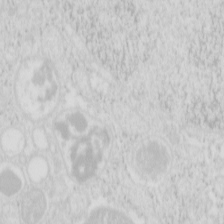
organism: Mouse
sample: Pancreas